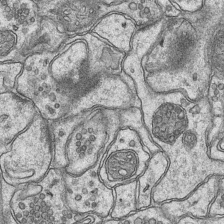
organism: Mouse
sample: CA1 Hippocampus